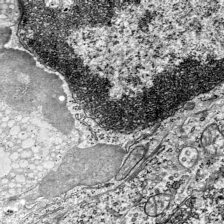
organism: Mouse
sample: Visual Cortex